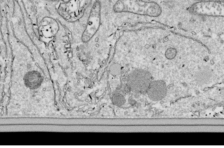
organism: Drosophila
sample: Cell division; meiosis; drosophila spermatocytes